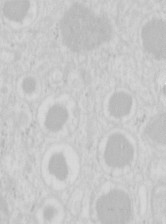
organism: Mouse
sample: Pancreas